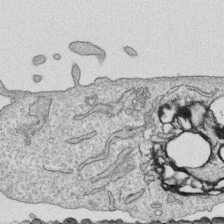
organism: Human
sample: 1205lu cells